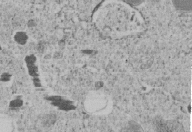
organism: C. elegans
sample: C. elegans embryo early stage